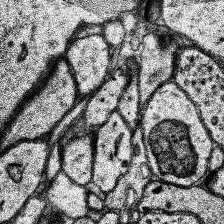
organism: Human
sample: Temporal Lobe